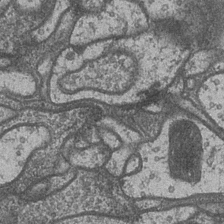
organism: Drosophila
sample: Optic medulla